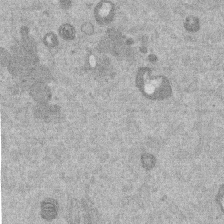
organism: Mouse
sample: Dividing mouse embryo 1 cell stage